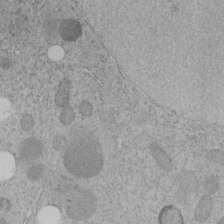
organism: C. elegans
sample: C. elegans embryo early stage